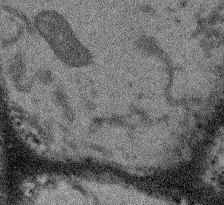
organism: Arabidopsis thaliana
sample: Root tip